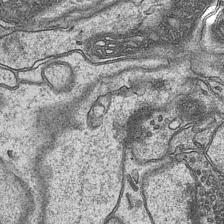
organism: Mouse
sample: CA1 Hippocampus